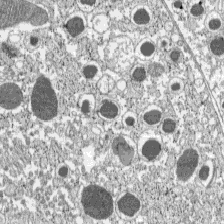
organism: C57BL Mouse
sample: Pancreatic islet